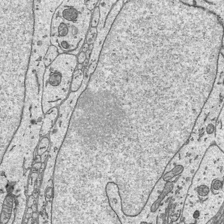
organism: Mouse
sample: Suprachiasmatic nucleus